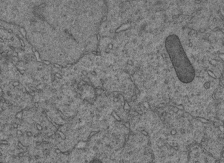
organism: C. elegans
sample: C. elegans embryo early stage